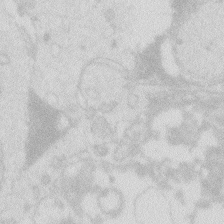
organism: Zebrafish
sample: Macrophage